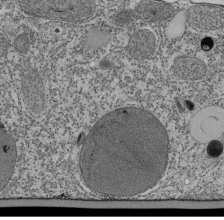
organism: Tetrahymena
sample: Cilia in tetrahymena